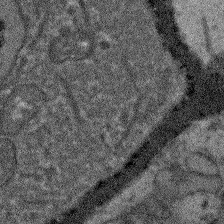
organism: Arabidopsis thaliana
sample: Root tip